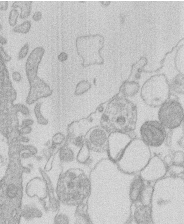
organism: Human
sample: Macrophage cells